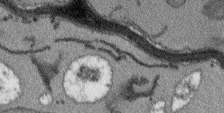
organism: Arabidopsis thaliana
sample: Root tip